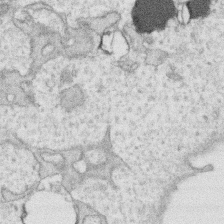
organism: Human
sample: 1205lu cells